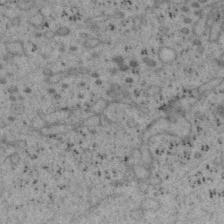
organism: Human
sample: HeLa cells